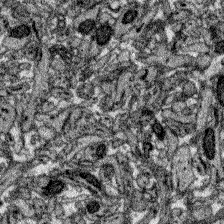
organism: Zebrafish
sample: Larval olfactory bulb